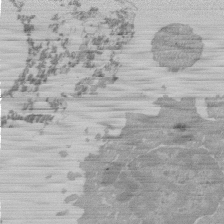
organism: Mouse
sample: Activated Pmel transgenic CD8+ T Cells